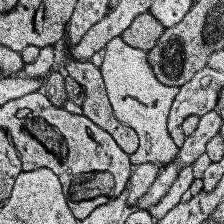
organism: Human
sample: Temporal Lobe